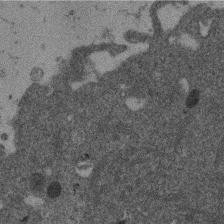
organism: Mouse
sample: Dividing mouse embryo 1 cell stage